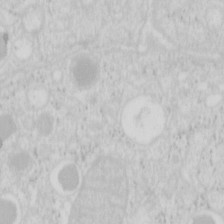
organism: Mouse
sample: Pancreas